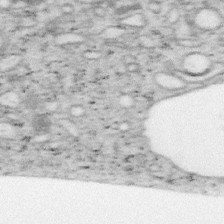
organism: Mouse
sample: OT-I killer T cells with ID8 ovarian cancer cells